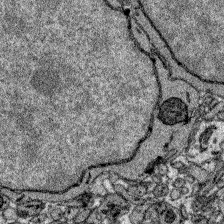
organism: Zebrafish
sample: Larval olfactory bulb